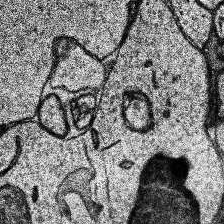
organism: Human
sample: Temporal Lobe